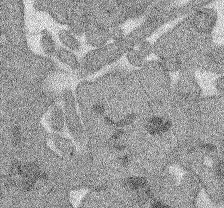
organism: Human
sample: HeLa cells